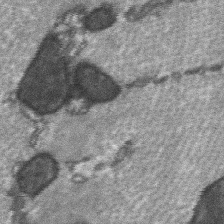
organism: C57BL Mouse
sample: Soleus